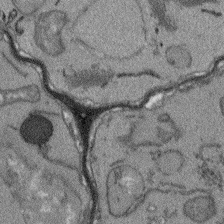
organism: Arabidopsis thaliana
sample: Root tip